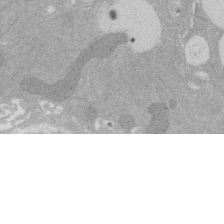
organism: Rat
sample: Salivary granule